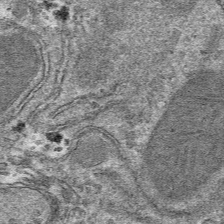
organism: Mouse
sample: Mouse hepatocytes